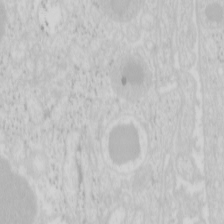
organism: Mouse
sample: Pancreas